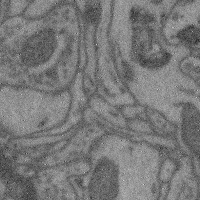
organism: Mouse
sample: Cerebral cortex